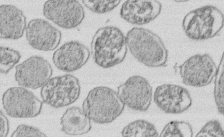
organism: E. coli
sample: Bacterial nucleoid